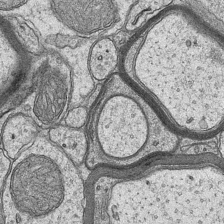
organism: Mouse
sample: CA1 Hippocampus